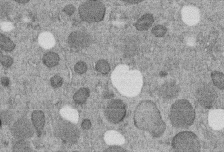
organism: C. elegans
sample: C. elegans embryo early stage